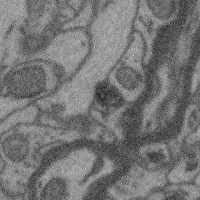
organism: Mouse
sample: Cerebral cortex